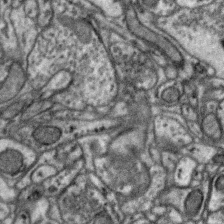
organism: Zebra finch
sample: Brain